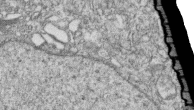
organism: Human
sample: HeLa cell HIV synapse